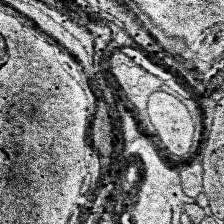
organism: Human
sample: Temporal Lobe